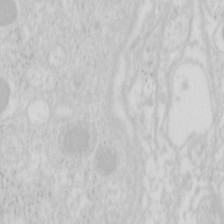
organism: Mouse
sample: Pancreas